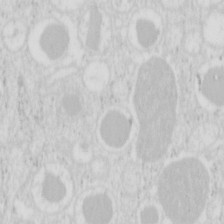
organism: Mouse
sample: Pancreas